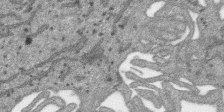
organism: Human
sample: Lung epithelial cells infected with SARS-CoV-2